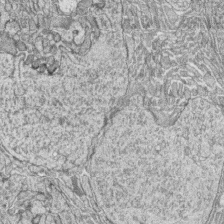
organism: Zebrafish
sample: synaptic ribbons in rod cells and cone cells